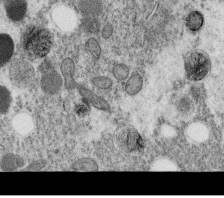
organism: C. elegans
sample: C. elegans oocyte; sperm cells